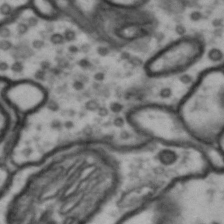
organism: Drosophila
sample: Brain